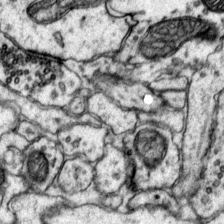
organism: Mouse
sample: Primary visual cortex